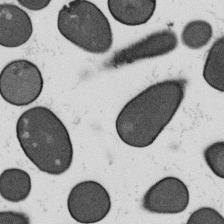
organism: B. subtilis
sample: Bacterial spore